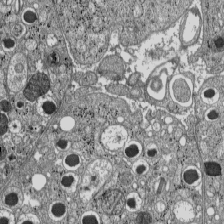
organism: C57BL Mouse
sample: Pancreatic islet